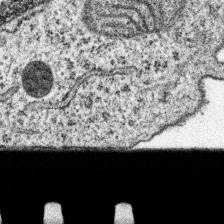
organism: Human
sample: HeLa cells